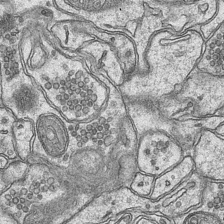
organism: Mouse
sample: CA1 Hippocampus